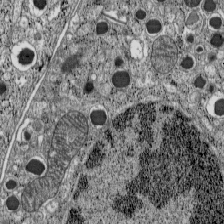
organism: C57BL Mouse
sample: Pancreatic islet